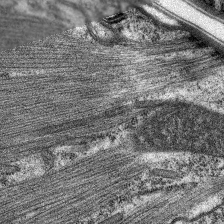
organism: C. elegans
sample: Pharynx